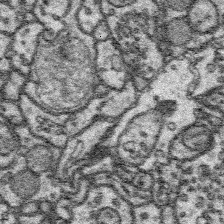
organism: Platynereis dumerilii